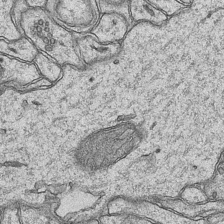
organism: Mouse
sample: CA1 Hippocampus